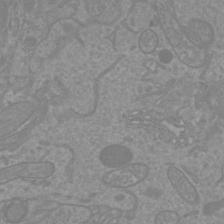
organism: Mouse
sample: Cortical neurons